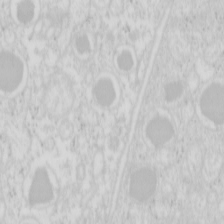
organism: Mouse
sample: Pancreas